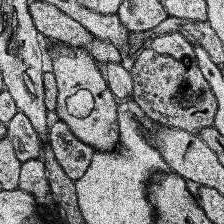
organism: Human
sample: Temporal Lobe